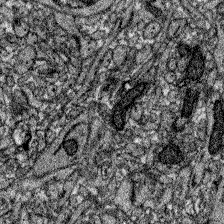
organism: Zebrafish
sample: Larval olfactory bulb